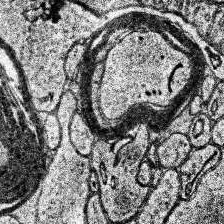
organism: Human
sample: Temporal Lobe